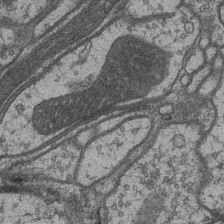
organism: Drosophila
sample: Optic medulla